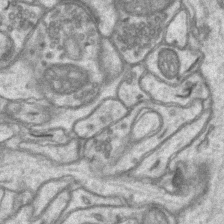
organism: Mouse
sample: CA1 Hippocampus